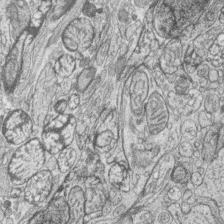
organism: Zebrafish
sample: synaptic ribbons in rod cells and cone cells